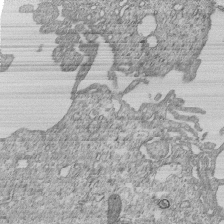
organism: Human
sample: MDA-MB-231 cells